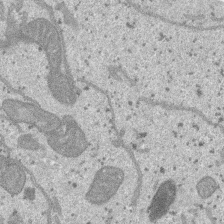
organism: Human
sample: Lung epithelial cells infected with SARS-CoV-2